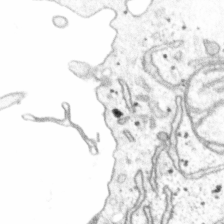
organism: Human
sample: HeLa cells